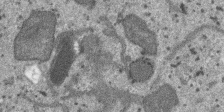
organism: Human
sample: Lung epithelial cells infected with SARS-CoV-2